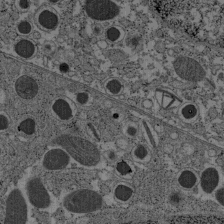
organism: C57BL Mouse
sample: Pancreatic islet